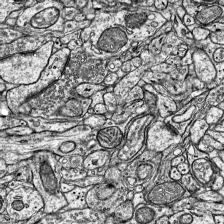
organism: Mouse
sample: Visual Cortex